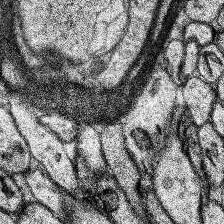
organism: Human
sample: Temporal Lobe